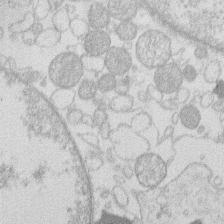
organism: Human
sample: Macrophage cells